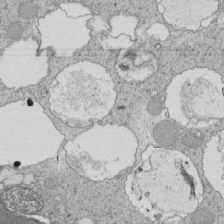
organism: Tetrahymena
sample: Cilia in tetrahymena